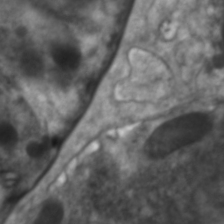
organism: C. elegans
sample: Pharynx